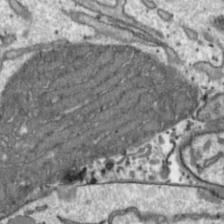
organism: Toxoplasma gondii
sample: Parasites in a vacuole inside a host cell